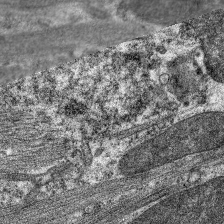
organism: C. elegans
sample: Pharynx